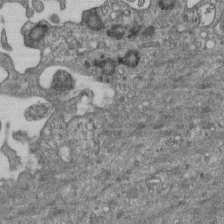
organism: Mouse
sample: Centriole in ependymal cells